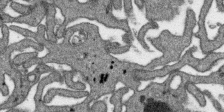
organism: Human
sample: Lung epithelial cells, uninfected (mock) control